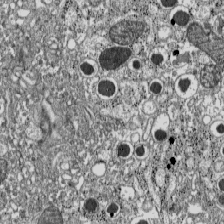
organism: C57BL Mouse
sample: Pancreatic islet